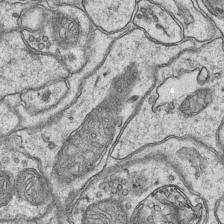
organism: Mouse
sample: CA1 Hippocampus